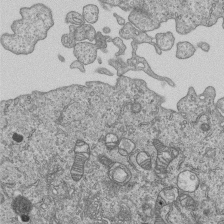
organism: Human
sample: MDA-MB-231 cells